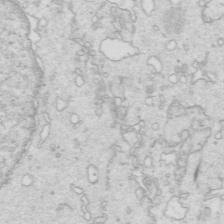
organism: Mouse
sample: Multiciliated cells